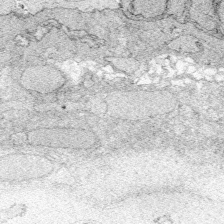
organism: Zebrafish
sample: Whole-Brain